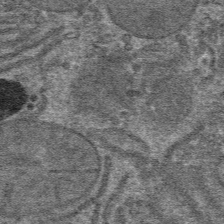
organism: Mouse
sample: Mouse hepatocytes